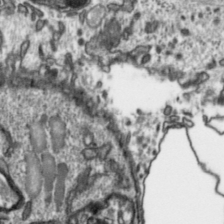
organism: Toxoplasma gondii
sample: Parasites in a vacuole inside a host cell